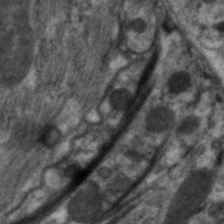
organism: C. elegans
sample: Pharynx